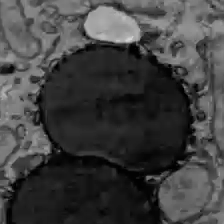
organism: C57BL Mouse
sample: Liver